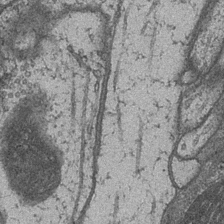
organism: Drosophila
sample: Optic medulla